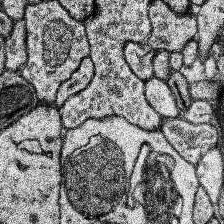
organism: Human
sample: Temporal Lobe